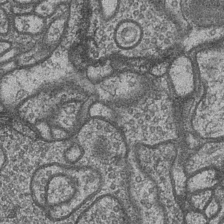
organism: Drosophila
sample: Optic medulla